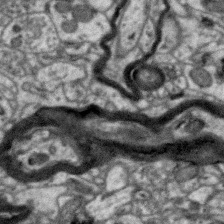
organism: Zebra finch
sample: Brain